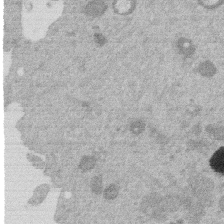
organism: Mouse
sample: Dividing mouse embryo 1 cell stage